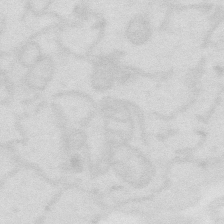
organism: Human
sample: HeLa cells